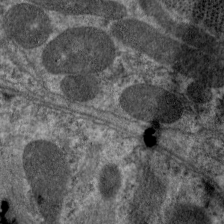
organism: C. elegans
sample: Pharynx